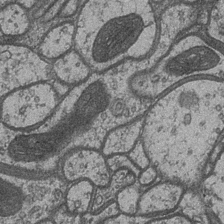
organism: Drosophila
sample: Optic medulla